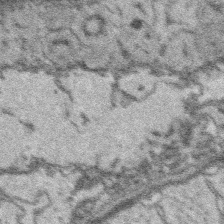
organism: Platynereis dumerilii